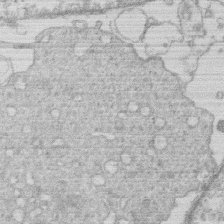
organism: Human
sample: Macrophage cells